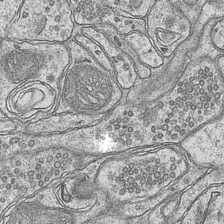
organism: Mouse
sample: CA1 Hippocampus